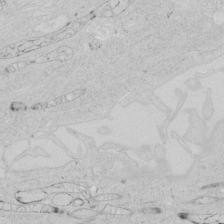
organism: Human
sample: Mitochondria in HCT116 cells